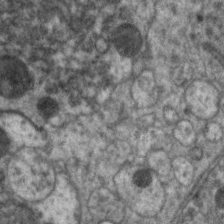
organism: C. elegans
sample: Pharynx